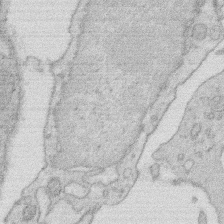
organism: Rat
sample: Salivary granule